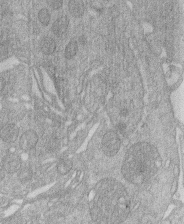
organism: Human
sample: Macrophage cells